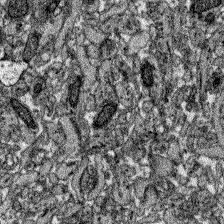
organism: Zebrafish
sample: Larval olfactory bulb